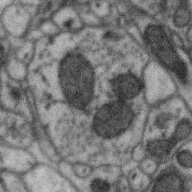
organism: Zebra finch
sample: Brain